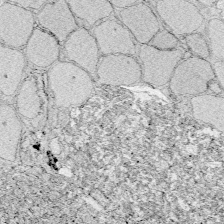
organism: Zebrafish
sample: Whole-Brain